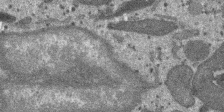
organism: Human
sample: Lung epithelial cells infected with SARS-CoV-2